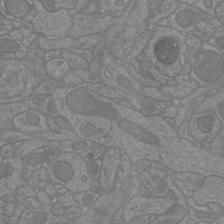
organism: Mouse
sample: Cortical neurons